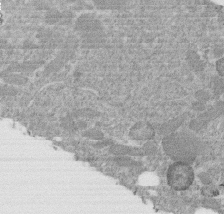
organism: C. elegans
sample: C. elegans embryo early stage